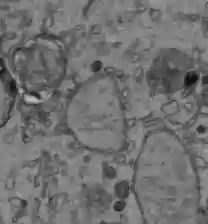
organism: C57BL Mouse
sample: Liver